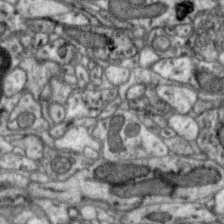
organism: Zebra finch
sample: Brain